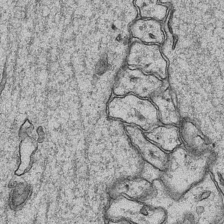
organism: Mouse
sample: CA1 Hippocampus